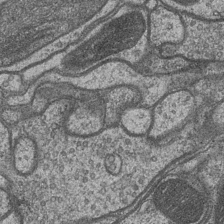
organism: Drosophila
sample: Optic medulla